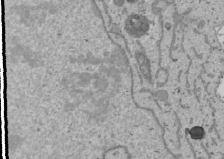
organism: Human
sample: Mitochondria in U2OS cells